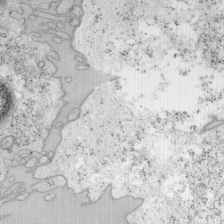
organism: Mouse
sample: OT-I killer T cells with ID8 ovarian cancer cells